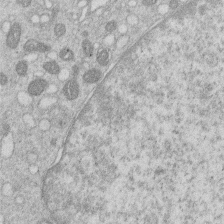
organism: Human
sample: Macrophage cells